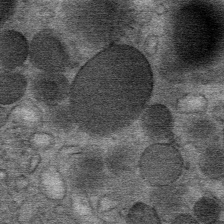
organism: Mouse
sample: Mouse Salivary gland